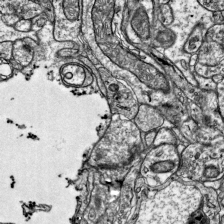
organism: Mouse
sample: Visual Cortex